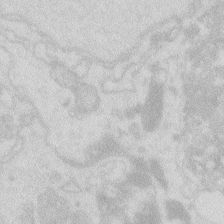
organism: Zebrafish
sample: Macrophage